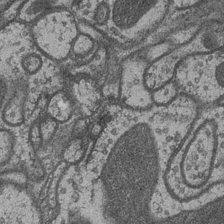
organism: Drosophila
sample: Optic medulla